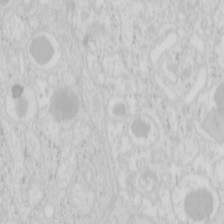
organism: Mouse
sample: Pancreas